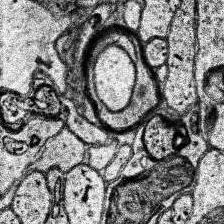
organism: Human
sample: Temporal Lobe